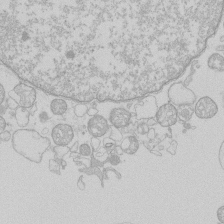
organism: Human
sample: Macrophage cells